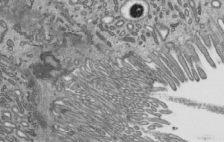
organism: Mouse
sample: Mouse epididymis efferent ductule cilia